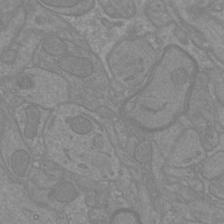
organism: Mouse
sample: Cortical neurons